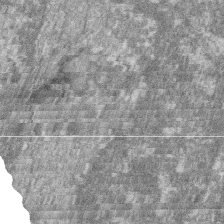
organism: Zebrafish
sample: Cilia; retinal pigment epithelium